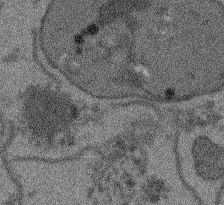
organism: Arabidopsis thaliana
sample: Root tip